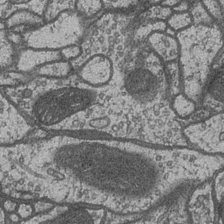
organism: Drosophila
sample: Optic medulla